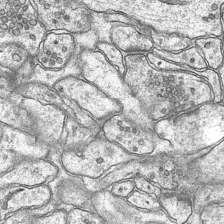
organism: Mouse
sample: CA1 Hippocampus